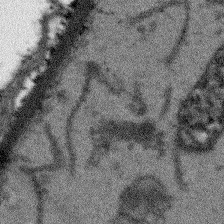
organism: Arabidopsis thaliana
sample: Root tip